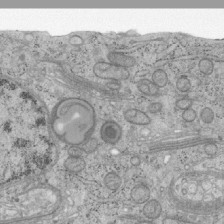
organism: Human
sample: HeLa cells